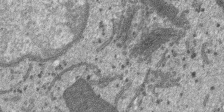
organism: Human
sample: Lung epithelial cells infected with SARS-CoV-2